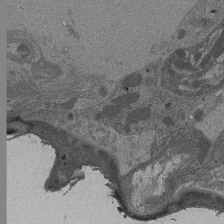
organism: Drosophila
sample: Antenna